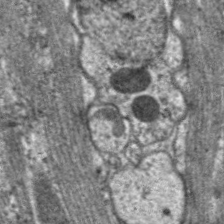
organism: C. elegans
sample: Pharynx